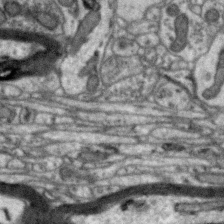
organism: Zebra finch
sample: Brain